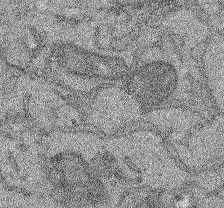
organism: Human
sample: HeLa cells